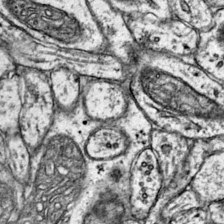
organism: Mouse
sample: Primary visual cortex